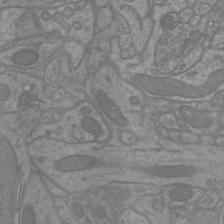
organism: Mouse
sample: Cortical neurons